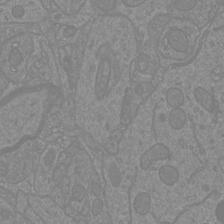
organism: Mouse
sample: Cortical neurons